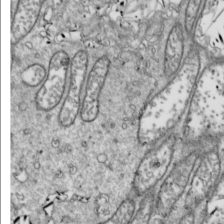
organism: Drosophila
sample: Cell division; meiosis; drosophila spermatocytes